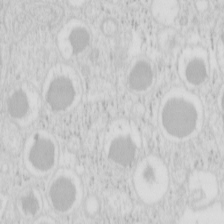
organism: Mouse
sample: Pancreas